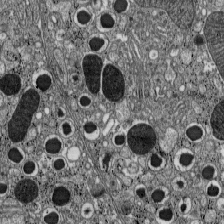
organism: C57BL Mouse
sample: Pancreatic islet